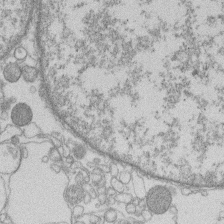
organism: Human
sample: Macrophage cells